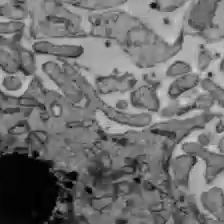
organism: C57BL Mouse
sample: Liver